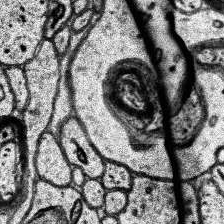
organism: Human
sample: Temporal Lobe